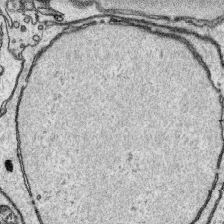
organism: Platynereis dumerilii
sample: Parapodia